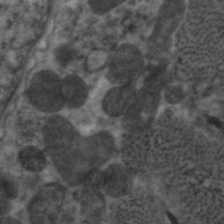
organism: C. elegans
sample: Pharynx